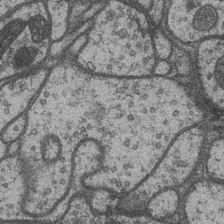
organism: Drosophila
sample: Optic medulla